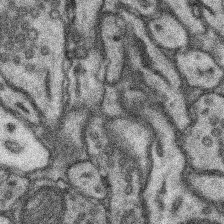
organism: Mouse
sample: Somatosensory cortex neuropil